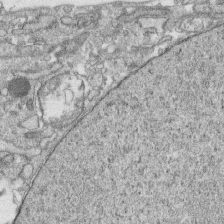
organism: Human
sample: CRL-1474